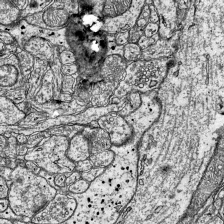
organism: Mouse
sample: Visual Cortex